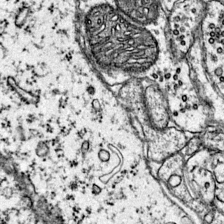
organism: Mouse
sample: Primary visual cortex